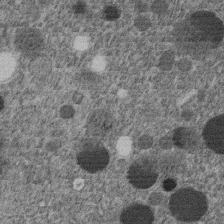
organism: C. elegans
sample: C. elegans embryo early stage